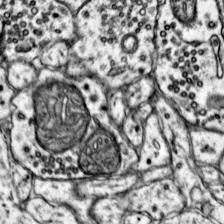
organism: Mouse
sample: Primary visual cortex